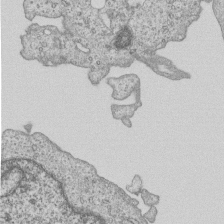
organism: Human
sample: MDA-MB-231 cells